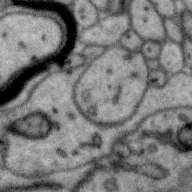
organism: Zebra finch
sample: Brain